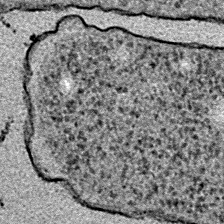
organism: E. coli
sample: E. Coli Bacteria